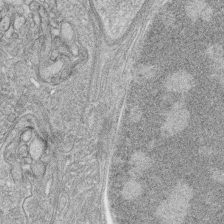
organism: Zebrafish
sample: synaptic ribbons in rod cells and cone cells